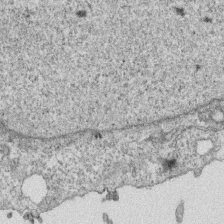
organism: Human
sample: HeLa cell HIV synapse